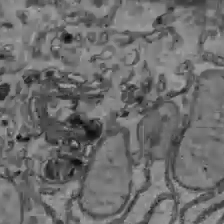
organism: C57BL Mouse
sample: Liver